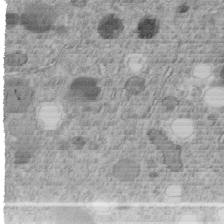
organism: C. elegans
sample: C. elegans embryo early stage